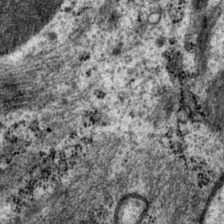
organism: P. pacificus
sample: Pharynx